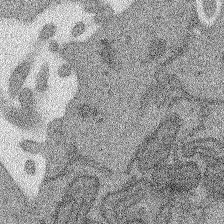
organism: Human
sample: HeLa cells